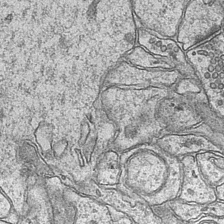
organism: Mouse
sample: CA1 Hippocampus